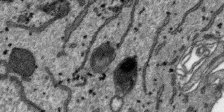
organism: Human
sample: Lung epithelial cells, uninfected (mock) control